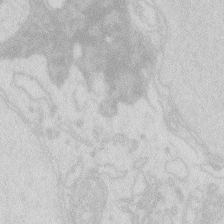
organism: Zebrafish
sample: Macrophage